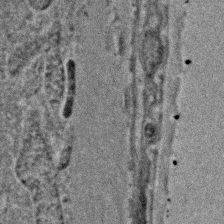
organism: C. elegans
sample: C. elegans embryo